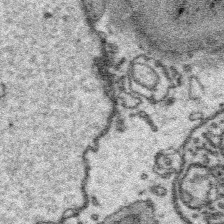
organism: Platynereis dumerilii